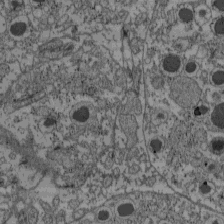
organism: C57BL Mouse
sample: Pancreatic islet